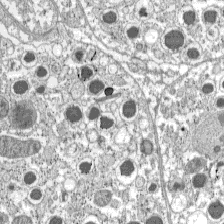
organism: C57BL Mouse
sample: Pancreatic islet